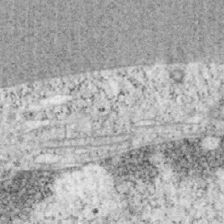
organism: Mouse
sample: OT-I killer T cells with ID8 ovarian cancer cells